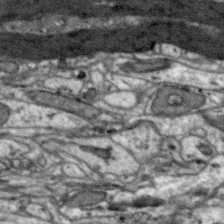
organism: Zebra finch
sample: Brain